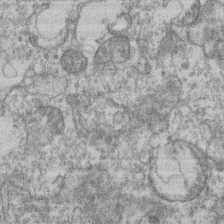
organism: Mouse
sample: T cell stromal cell synapse